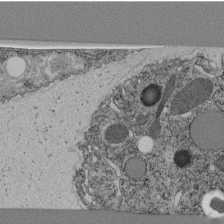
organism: C. elegans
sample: C. elegans pharynx